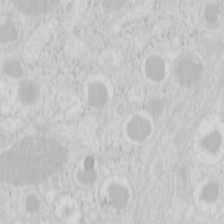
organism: Mouse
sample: Pancreas